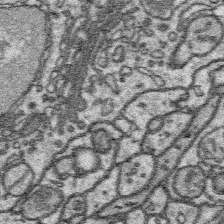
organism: Platynereis dumerilii